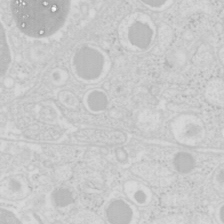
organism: Mouse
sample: Pancreas